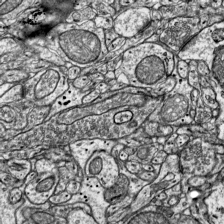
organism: Mouse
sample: Visual Cortex